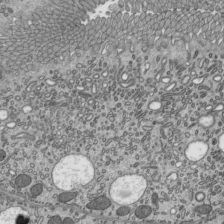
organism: Mouse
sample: Mouse epididymis efferent ductule cilia